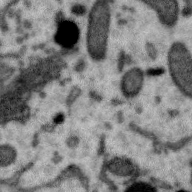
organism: Zebra finch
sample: Brain